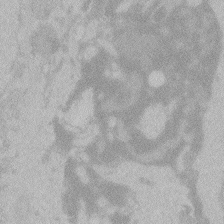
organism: Zebrafish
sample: Macrophage infected with Toxoplasma gondii